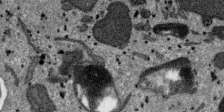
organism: Human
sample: Lung epithelial cells, uninfected (mock) control